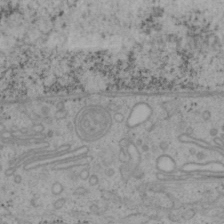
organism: Human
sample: HeLa cells